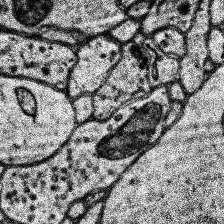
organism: Human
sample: Temporal Lobe